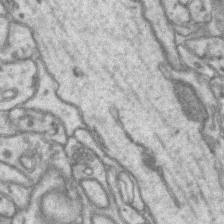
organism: Mouse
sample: CA1 Hippocampus